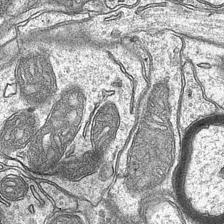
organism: Mouse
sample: CA1 Hippocampus